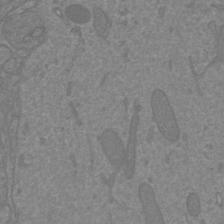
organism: Mouse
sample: Cortical neurons